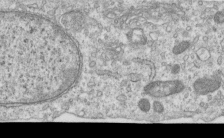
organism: Human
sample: Centriole in RPE cells